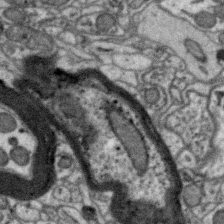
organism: Zebra finch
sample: Brain